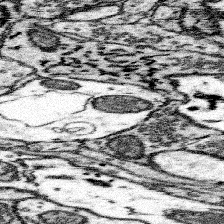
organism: Mouse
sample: Somatosensory cortex neuropil